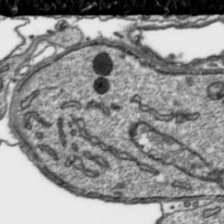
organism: Toxoplasma gondii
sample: Parasites in a vacuole inside a host cell